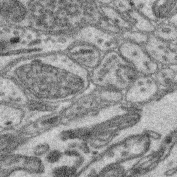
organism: Mouse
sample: Retina